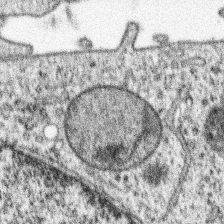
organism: Human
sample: HeLa cells